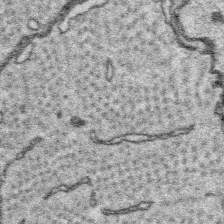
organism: Platynereis dumerilii